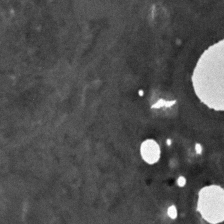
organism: C. elegans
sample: C. elegans embryo